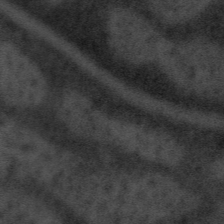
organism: Tuwongella immobilis